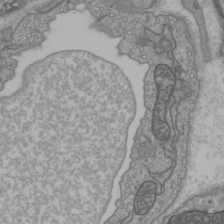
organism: C57BL Mouse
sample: Heart